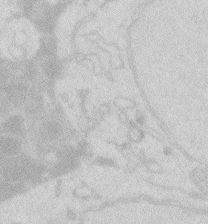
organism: Zebrafish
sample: Macrophage